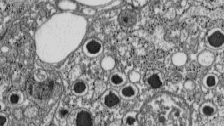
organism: C57BL Mouse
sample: Pancreatic islet